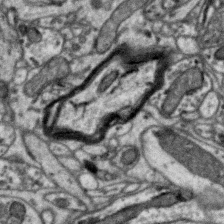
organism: Zebra finch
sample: Brain